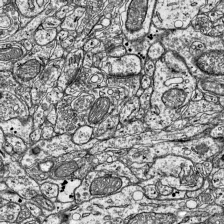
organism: Mouse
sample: Visual Cortex